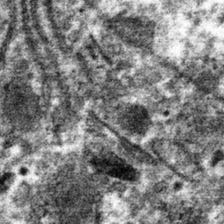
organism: Mouse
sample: Mouse hepatocytes